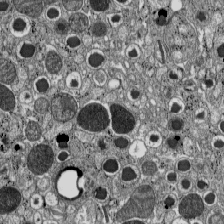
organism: C57BL Mouse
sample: Pancreatic islet